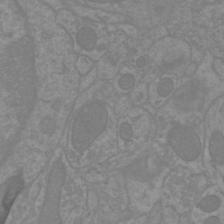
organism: Mouse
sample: Cortical neurons